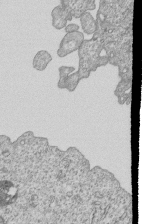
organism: Human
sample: MDA-MB-231 cells